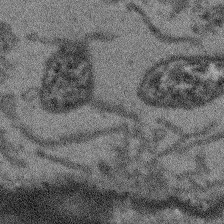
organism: Arabidopsis thaliana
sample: Root tip